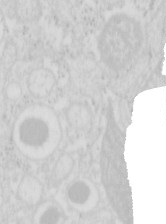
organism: Mouse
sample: Pancreas